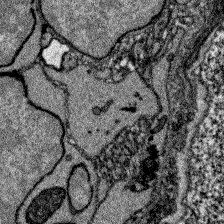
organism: Zebrafish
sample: Larval olfactory bulb